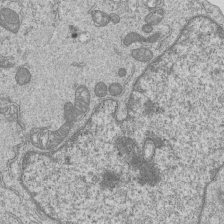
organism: Human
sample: MDA-MB-231 cells